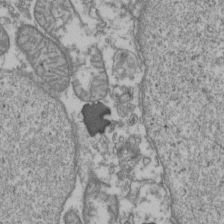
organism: Human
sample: Activated Jurkat CD4+ T cells